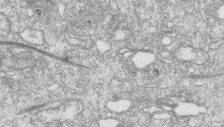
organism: Human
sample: HeLa cell HIV synapse